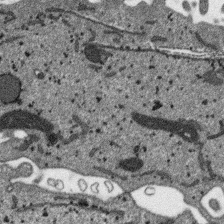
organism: Human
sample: Lung epithelial cells infected with SARS-CoV-2